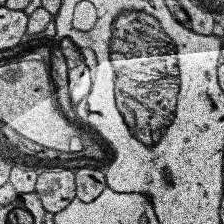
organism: Human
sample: Temporal Lobe